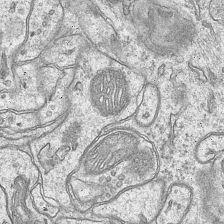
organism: Mouse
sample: CA1 Hippocampus